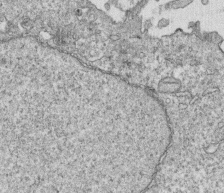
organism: Human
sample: HeLa cell HIV synapse